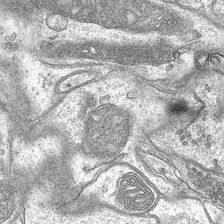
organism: Mouse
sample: CA1 Hippocampus